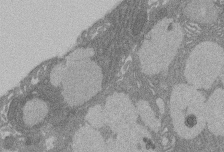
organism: Rat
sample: Salivary granule